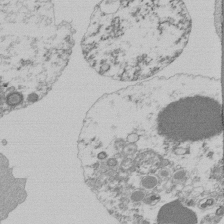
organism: Mouse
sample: Activated Pmel transgenic CD8+ T Cells